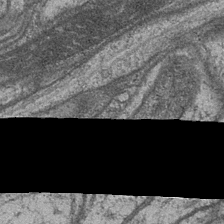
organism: Drosophila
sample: Optic medulla